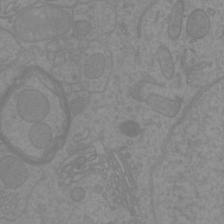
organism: Mouse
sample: Cortical neurons